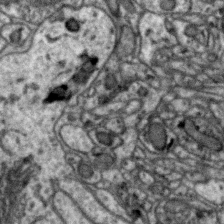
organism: Zebra finch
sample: Brain